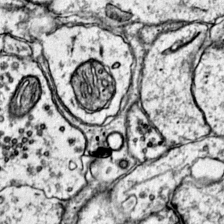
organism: Mouse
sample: Primary visual cortex